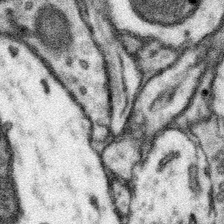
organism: Mouse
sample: Somatosensory cortex neuropil